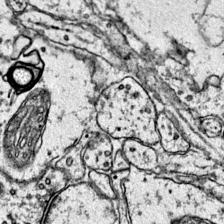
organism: Mouse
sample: Primary visual cortex